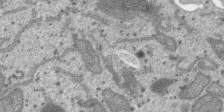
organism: Human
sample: Lung epithelial cells infected with SARS-CoV-2